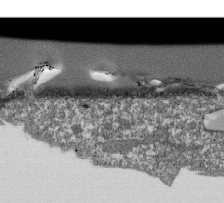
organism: Dictyostelium discoideum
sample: Dictyostelium multivesicular bodies